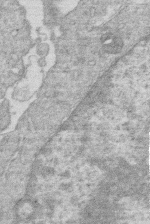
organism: Human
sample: Macrophage cells